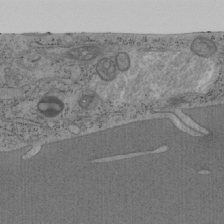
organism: Human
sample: HeLa cells